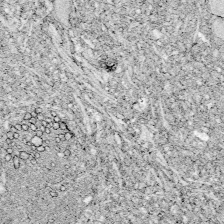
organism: Zebrafish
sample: Whole-Brain